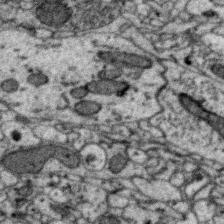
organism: Zebra finch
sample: Brain